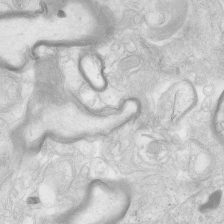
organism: Human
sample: Neocortex